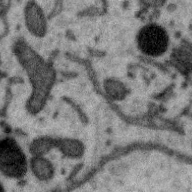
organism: Zebra finch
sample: Brain